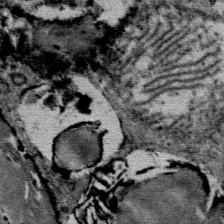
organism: Mouse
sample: Mouse Salivary gland